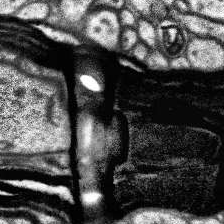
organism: Human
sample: Temporal Lobe